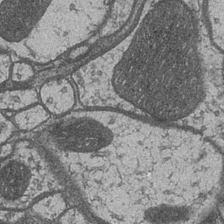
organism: Drosophila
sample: Optic medulla